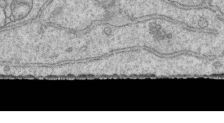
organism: Human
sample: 1205lu cells